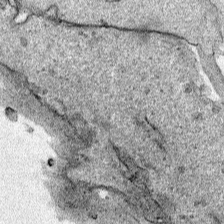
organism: Human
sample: Mitochondria in HCT116 cells